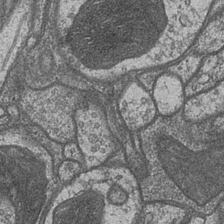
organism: Drosophila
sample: Optic medulla